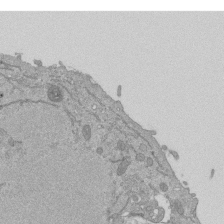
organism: Mouse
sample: ED-1 cell nuclei; centrioles